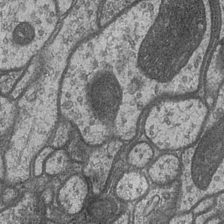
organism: Drosophila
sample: Optic medulla